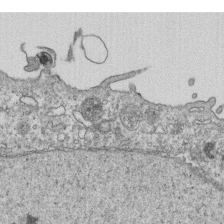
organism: Human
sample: HeLa cell HIV synapse